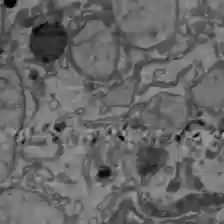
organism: C57BL Mouse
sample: Liver